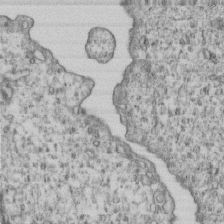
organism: Human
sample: MDA-MB-231 cells